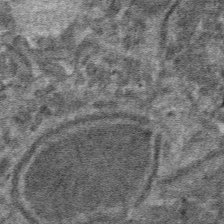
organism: Mouse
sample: Mouse hepatocytes